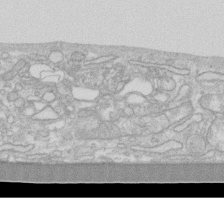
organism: Human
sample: Fibroblast cells